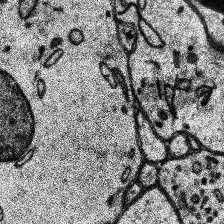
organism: Human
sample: Temporal Lobe